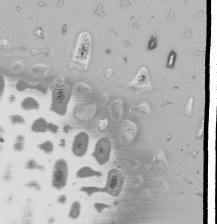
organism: Human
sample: Mitochondria in HCT116 cells